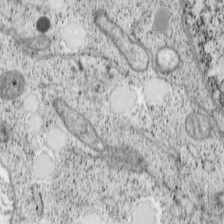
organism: African green monkey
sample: COS-7 cells